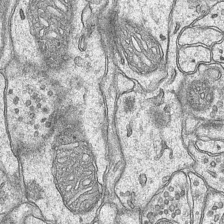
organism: Mouse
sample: CA1 Hippocampus